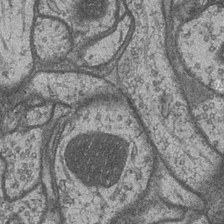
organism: Drosophila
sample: Optic medulla